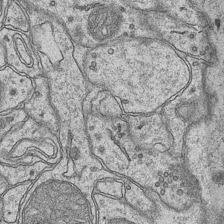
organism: Mouse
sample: CA1 Hippocampus